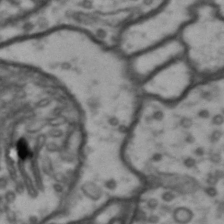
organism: Drosophila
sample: Brain